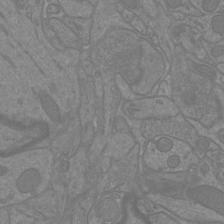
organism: Mouse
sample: Cortical neurons